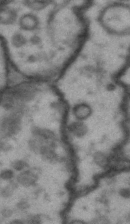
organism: Drosophila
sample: Brain